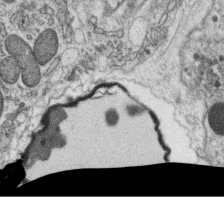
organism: C. elegans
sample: C. elegans oocyte; sperm cells